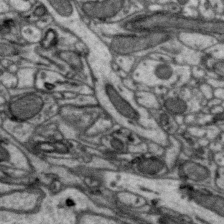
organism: Zebra finch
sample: Brain